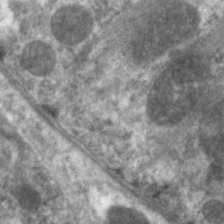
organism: C. elegans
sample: Pharynx